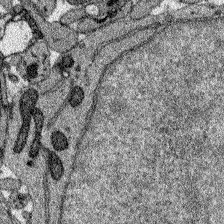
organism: Zebrafish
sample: Larval olfactory bulb